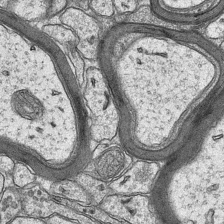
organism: Mouse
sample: CA1 Hippocampus